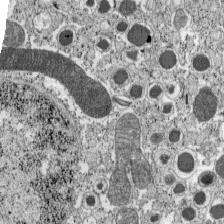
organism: C57BL Mouse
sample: Pancreatic islet